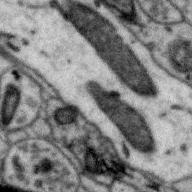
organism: Zebra finch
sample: Brain